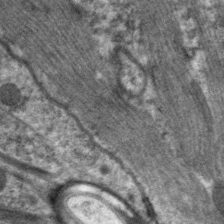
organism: C. elegans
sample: Pharynx